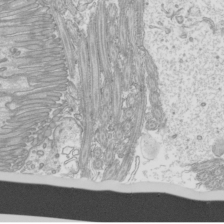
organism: Mouse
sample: Cilia; mouse epididymis